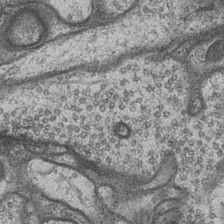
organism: Drosophila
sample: Optic medulla